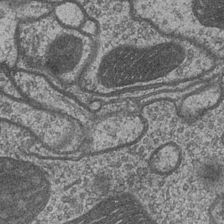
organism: Drosophila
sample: Optic medulla